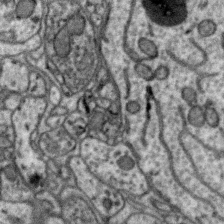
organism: Zebra finch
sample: Brain